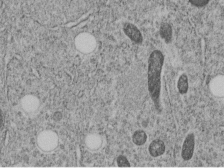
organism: C. elegans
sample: C. elegans embryo early stage